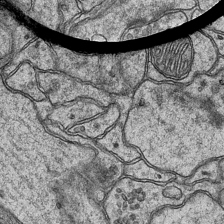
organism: Mouse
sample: CA1 Hippocampus